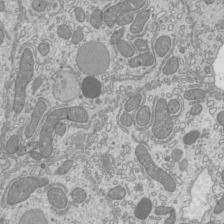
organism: Mouse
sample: Cilia; mouse epididymis